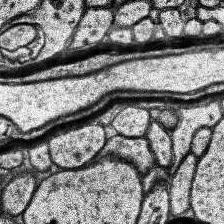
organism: Human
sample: Temporal Lobe